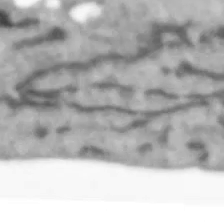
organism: Human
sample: SH-SY5Y cells